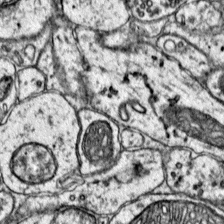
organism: Mouse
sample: Primary visual cortex